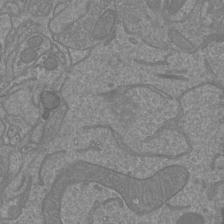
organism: Mouse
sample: Cortical neurons